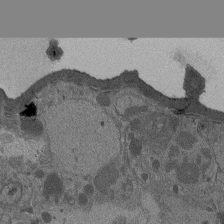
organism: Drosophila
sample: Antenna